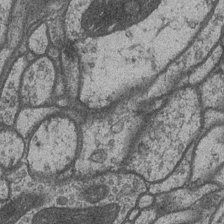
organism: Drosophila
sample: Optic medulla